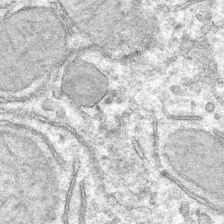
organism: Mouse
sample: Mouse hepatocytes